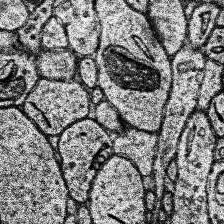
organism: Human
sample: Temporal Lobe